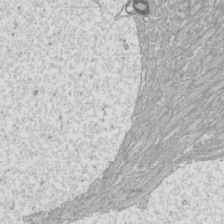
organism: Mouse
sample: Cilia; mouse epididymis